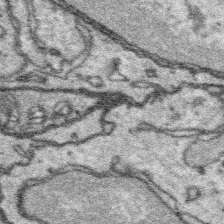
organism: Platynereis dumerilii